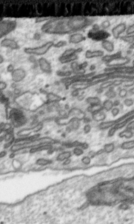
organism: Toxoplasma gondii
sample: Parasites in a vacuole inside a host cell